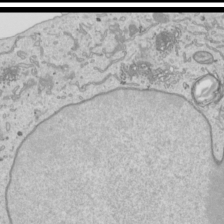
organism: Human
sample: Mitochondria in HCT116 cells